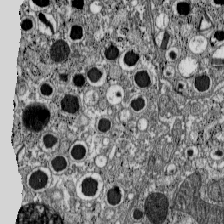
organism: C57BL Mouse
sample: Pancreatic islet